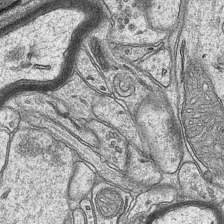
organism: Mouse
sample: CA1 Hippocampus